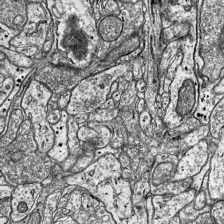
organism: Mouse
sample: Visual Cortex